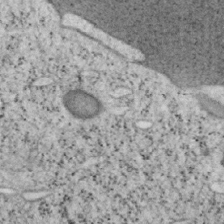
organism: Mouse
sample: OT-I killer T cells with ID8 ovarian cancer cells